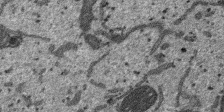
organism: Human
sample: Lung epithelial cells infected with SARS-CoV-2